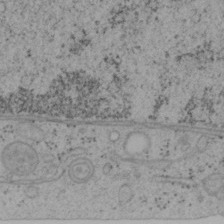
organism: Human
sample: HeLa cells